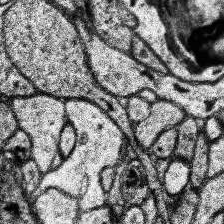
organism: Human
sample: Temporal Lobe